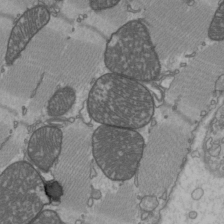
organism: C57BL Mouse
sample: Heart